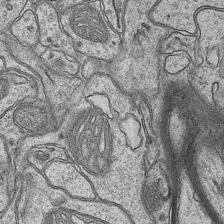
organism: Mouse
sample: CA1 Hippocampus